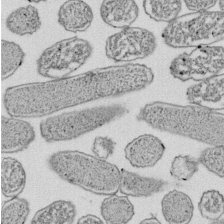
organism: E. coli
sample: Bacterial nucleoid